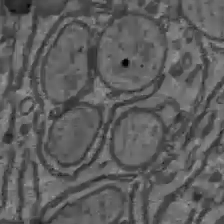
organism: C57BL Mouse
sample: Liver